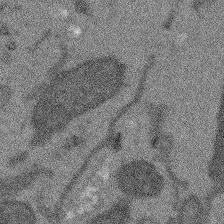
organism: Arabidopsis thaliana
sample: Root tip